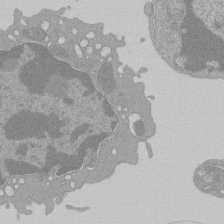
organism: Mouse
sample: Activated Pmel transgenic CD8+ T Cells